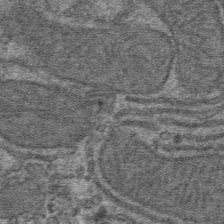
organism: Mouse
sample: Mouse hepatocytes